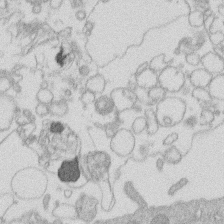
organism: Human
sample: Macrophage cells